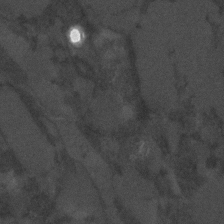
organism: C. elegans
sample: C. elegans embryo